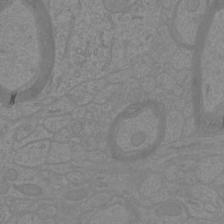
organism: Mouse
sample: Cortical neurons